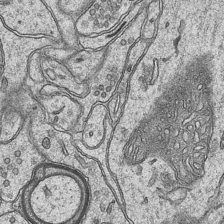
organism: Mouse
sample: CA1 Hippocampus